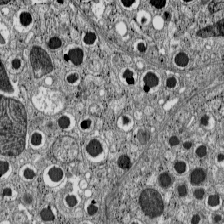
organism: C57BL Mouse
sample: Pancreatic islet